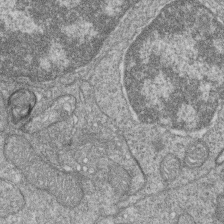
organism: Zebrafish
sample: Cilia; retinal pigment epithelium